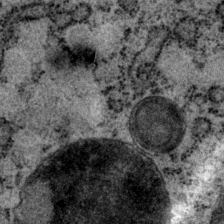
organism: P. pacificus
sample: Pharynx